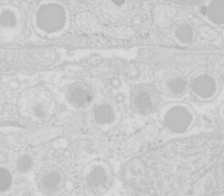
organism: Mouse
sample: Pancreas